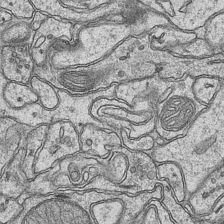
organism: Mouse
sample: CA1 Hippocampus